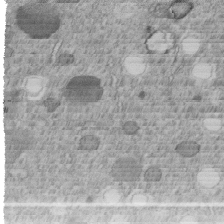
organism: C. elegans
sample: C. elegans embryo early stage